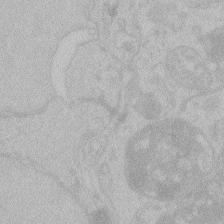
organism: Zebrafish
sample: Macrophage infected with Toxoplasma gondii